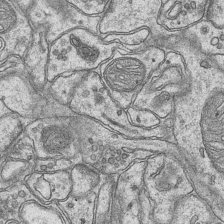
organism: Mouse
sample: CA1 Hippocampus